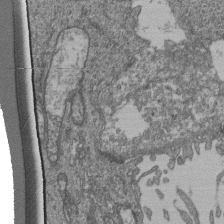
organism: Human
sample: Retinal organoid Rod and Cone cells